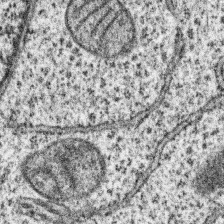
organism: Human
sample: HeLa cells